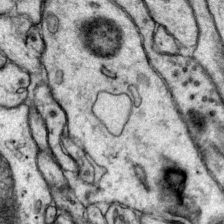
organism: Mouse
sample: Primary visual cortex